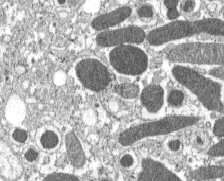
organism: C57BL Mouse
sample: Pancreatic islet